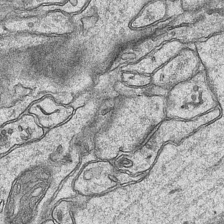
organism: Mouse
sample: CA1 Hippocampus